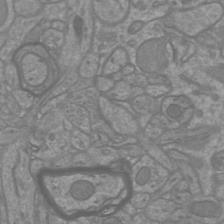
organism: Mouse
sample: Cortical neurons